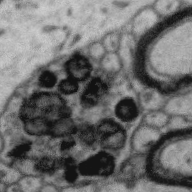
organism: Zebra finch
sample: Brain